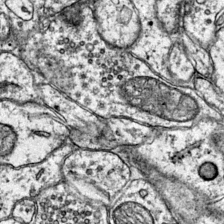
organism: Mouse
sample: Primary visual cortex